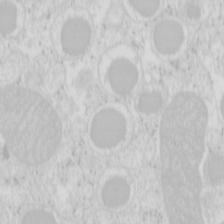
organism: Mouse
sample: Pancreas